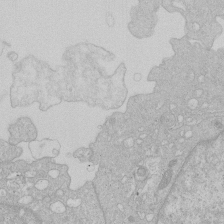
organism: Human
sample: Macrophage cells